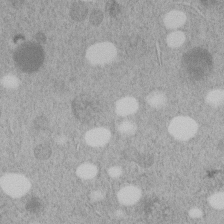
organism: C. elegans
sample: C. elegans embryo early stage